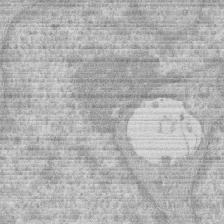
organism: Human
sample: Macrophage cells